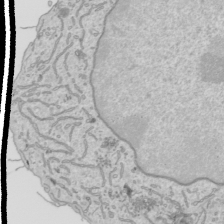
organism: Human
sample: Mitochondria in HCT116 cells